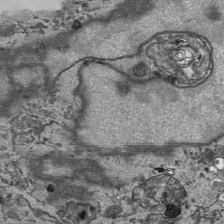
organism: Human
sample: Mitochondria in HCT116 cells